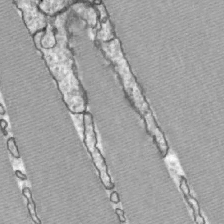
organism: Zebrafish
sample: Actinotrichia fibers